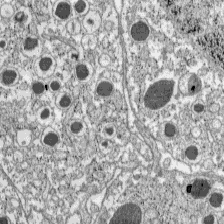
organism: C57BL Mouse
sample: Pancreatic islet